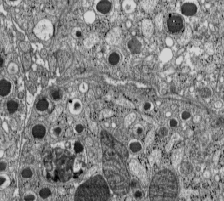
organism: C57BL Mouse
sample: Pancreatic islet